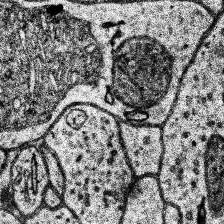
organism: Human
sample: Temporal Lobe